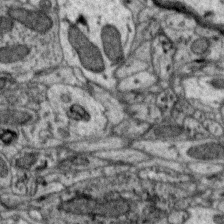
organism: Zebra finch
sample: Brain